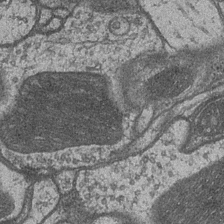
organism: Drosophila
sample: Optic medulla